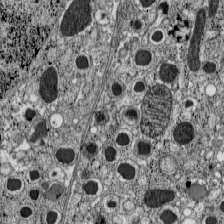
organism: C57BL Mouse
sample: Pancreatic islet